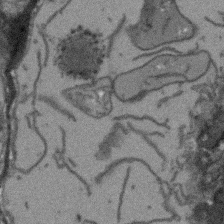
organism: Arabidopsis thaliana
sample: Root tip